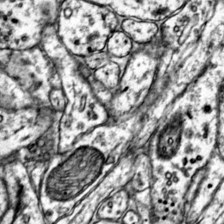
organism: Mouse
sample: Primary visual cortex